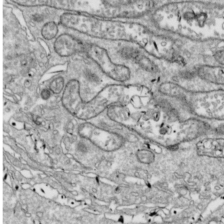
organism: Drosophila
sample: Cell division; meiosis; drosophila spermatocytes